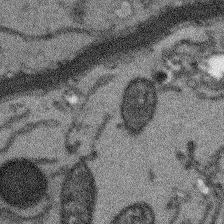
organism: Arabidopsis thaliana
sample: Root tip